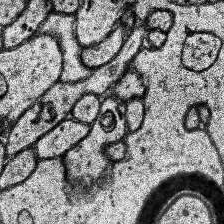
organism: Human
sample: Temporal Lobe